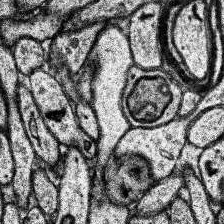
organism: Human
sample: Temporal Lobe